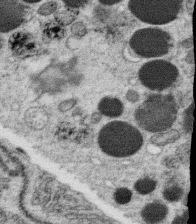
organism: C. elegans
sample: C. elegans oocyte; sperm cells